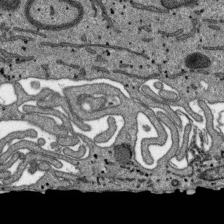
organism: Human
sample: Lung epithelial cells, uninfected (mock) control